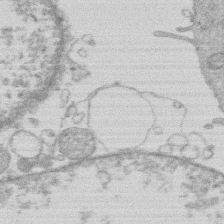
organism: Human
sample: Macrophage cells